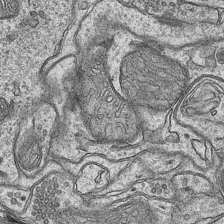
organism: Mouse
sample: CA1 Hippocampus